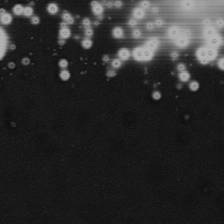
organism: Mouse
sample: Cancer cell death in ED-1 cells